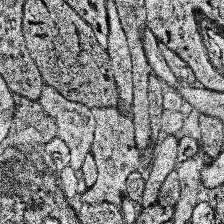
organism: Human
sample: Temporal Lobe